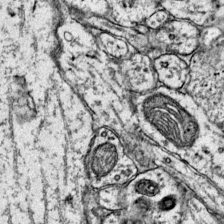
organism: Mouse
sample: Primary visual cortex